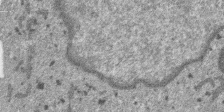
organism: Human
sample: Lung epithelial cells infected with SARS-CoV-2